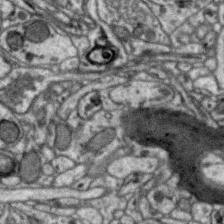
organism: Zebra finch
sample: Brain